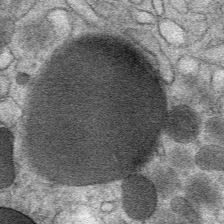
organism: Mouse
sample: Mouse Salivary gland